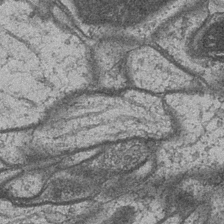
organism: Drosophila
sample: Optic medulla